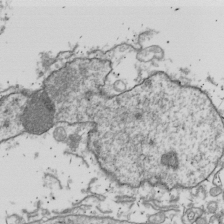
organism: Drosophila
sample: Cell division; meiosis; drosophila spermatocytes